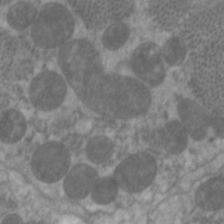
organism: C. elegans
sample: Pharynx